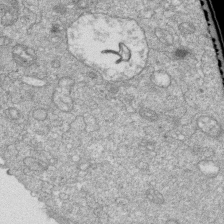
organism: Human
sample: HeLa cell HIV synapse